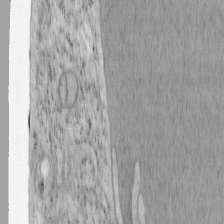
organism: Human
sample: HeLa cells